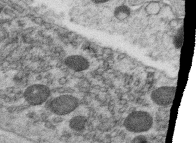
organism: C. elegans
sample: C. elegans oocyte; sperm cells